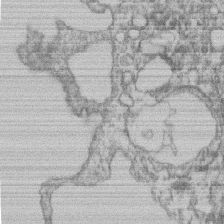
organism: Mouse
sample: T cell stromal cell synapse